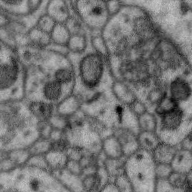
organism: Zebra finch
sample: Brain